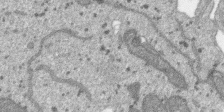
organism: Human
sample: Lung epithelial cells infected with SARS-CoV-2